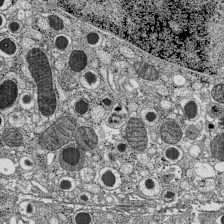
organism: C57BL Mouse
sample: Pancreatic islet